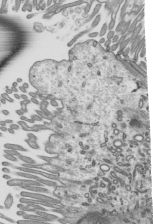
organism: Mouse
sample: Mouse epididymis efferent ductule cilia